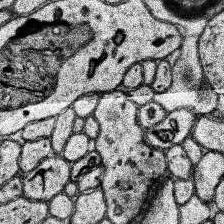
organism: Human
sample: Temporal Lobe